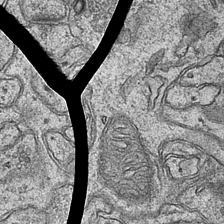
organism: Mouse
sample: CA1 Hippocampus